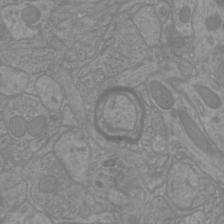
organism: Mouse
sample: Cortical neurons